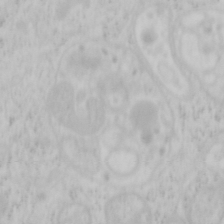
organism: Mouse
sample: OT-I killer T cells with ID8 ovarian cancer cells